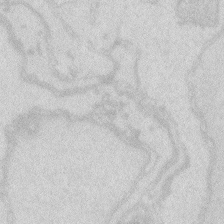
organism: Zebrafish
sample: Macrophage